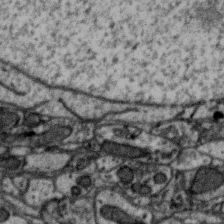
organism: Zebra finch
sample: Brain